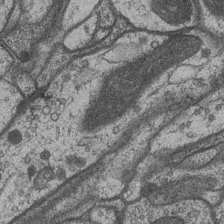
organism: Drosophila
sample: Optic medulla